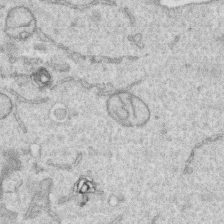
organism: Human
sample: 1205lu cells